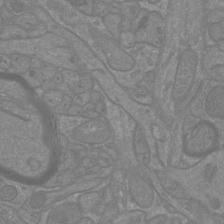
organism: Mouse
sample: Cortical neurons